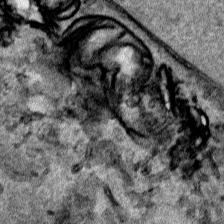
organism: Human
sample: Mitochondria in HCT116 cells